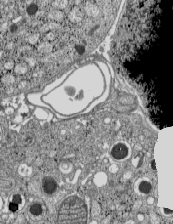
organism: C57BL Mouse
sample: Pancreatic islet